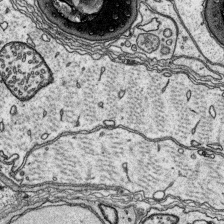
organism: Platynereis dumerilii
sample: Parapodia